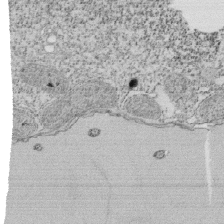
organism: Tetrahymena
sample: Cilia in tetrahymena